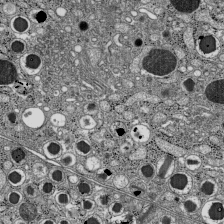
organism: C57BL Mouse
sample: Pancreatic islet